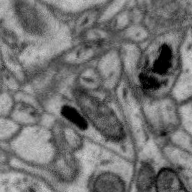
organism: Zebra finch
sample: Brain